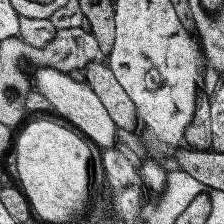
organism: Human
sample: Temporal Lobe